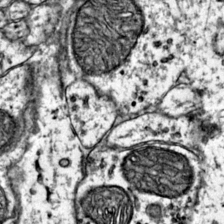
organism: Mouse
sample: Primary visual cortex